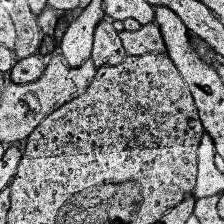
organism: Human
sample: Temporal Lobe